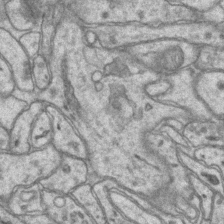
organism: Mouse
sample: CA1 Hippocampus